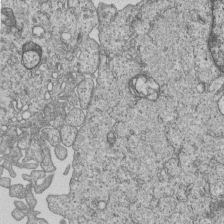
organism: Human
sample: MDA-MB-231 cells